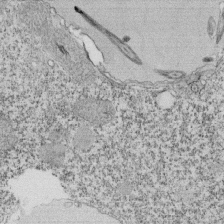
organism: Tetrahymena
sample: Cilia in tetrahymena